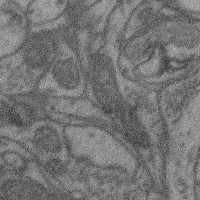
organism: Mouse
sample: Cerebral cortex